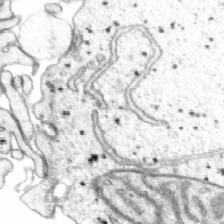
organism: Human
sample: HeLa cells